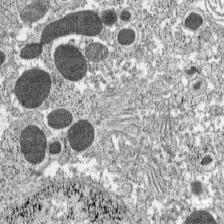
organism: C57BL Mouse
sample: Pancreatic islet